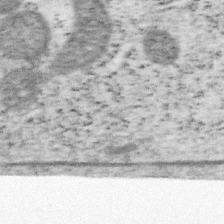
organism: Mouse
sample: OT-I killer T cells with ID8 ovarian cancer cells